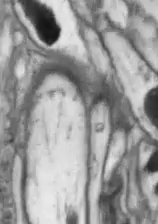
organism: Drosophila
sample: Optic lobe